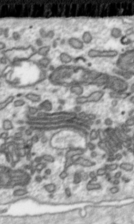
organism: Toxoplasma gondii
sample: Parasites in a vacuole inside a host cell